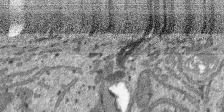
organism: Human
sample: Lung epithelial cells infected with SARS-CoV-2